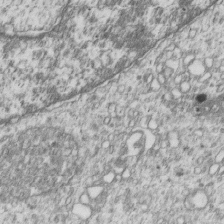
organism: Human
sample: MDA-MB-231 cells